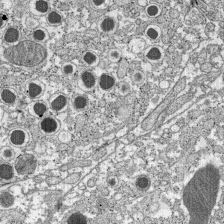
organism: C57BL Mouse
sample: Pancreatic islet